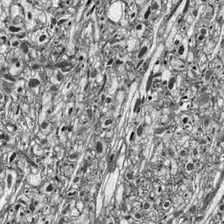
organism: Drosophila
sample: Optic lobe